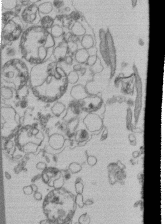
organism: Human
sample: Retinal organoid Rod and Cone cells